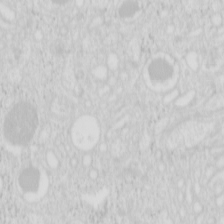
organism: Mouse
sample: Pancreas